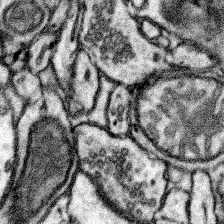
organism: Mouse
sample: Somatosensory cortex neuropil